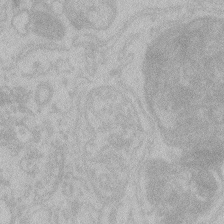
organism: Zebrafish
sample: Macrophage infected with Toxoplasma gondii